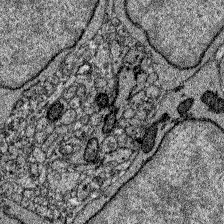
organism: Zebrafish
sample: Larval olfactory bulb